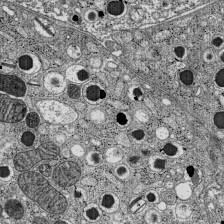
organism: C57BL Mouse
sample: Pancreatic islet